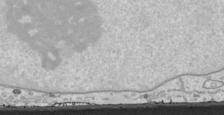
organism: Human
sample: Mitochondria in HCT116 cells